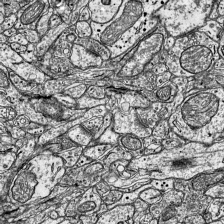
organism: Mouse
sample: Visual Cortex